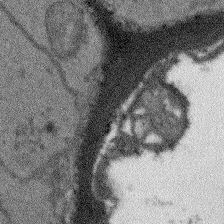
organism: Arabidopsis thaliana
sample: Root tip